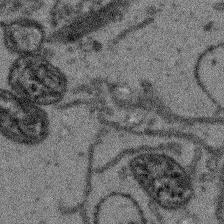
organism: Arabidopsis thaliana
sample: Root tip